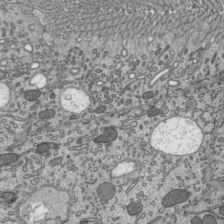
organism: Mouse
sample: Mouse epididymis efferent ductule cilia